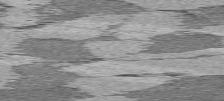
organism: C57BL Mouse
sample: Heart